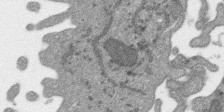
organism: Human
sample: Lung epithelial cells infected with SARS-CoV-2